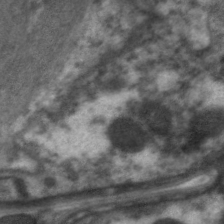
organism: C. elegans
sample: Pharynx